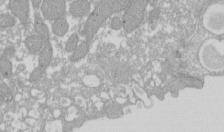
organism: Xenopus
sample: Cilia; centrioles in frog embryo cells